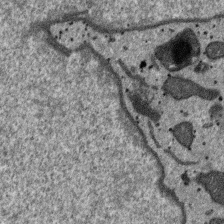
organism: Human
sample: Lung epithelial cells, uninfected (mock) control